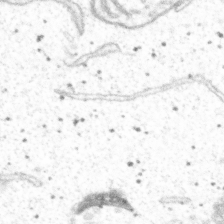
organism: Human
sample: HeLa cells